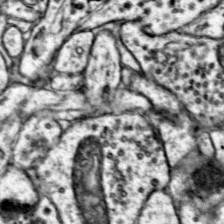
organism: Mouse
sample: Primary visual cortex